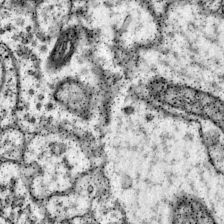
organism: Mouse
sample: Primary visual cortex